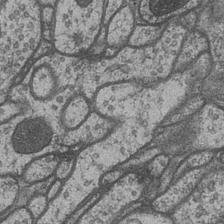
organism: Drosophila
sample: Optic medulla